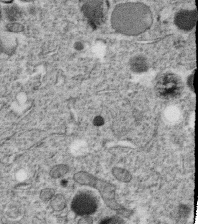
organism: C. elegans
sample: C. elegans oocyte; sperm cells